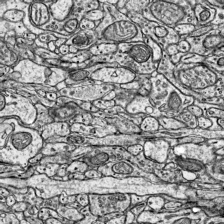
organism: Mouse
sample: Visual Cortex